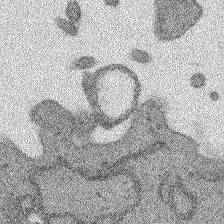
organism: Human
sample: HeLa cells